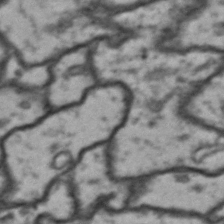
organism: Drosophila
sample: Brain